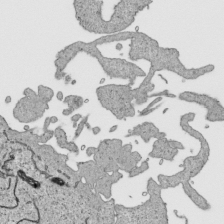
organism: Human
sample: Mitochondria in HCT116 cells